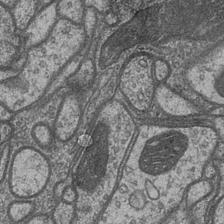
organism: Drosophila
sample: Optic medulla